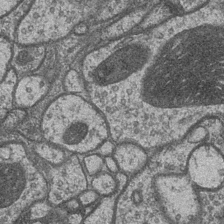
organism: Drosophila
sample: Optic medulla